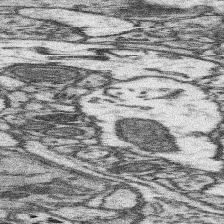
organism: Mouse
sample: Somatosensory cortex neuropil